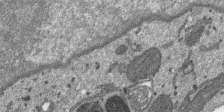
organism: Human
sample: Lung epithelial cells infected with SARS-CoV-2